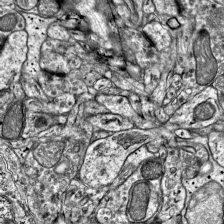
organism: Mouse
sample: Visual Cortex